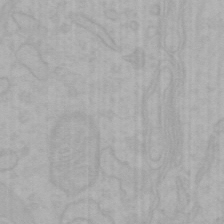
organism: Mouse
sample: Choroid plexus